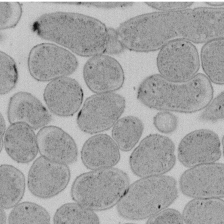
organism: E. coli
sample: Bacterial nucleoid